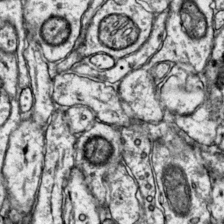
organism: Mouse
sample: Primary visual cortex